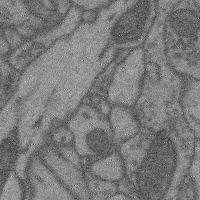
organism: Mouse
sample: Cerebral cortex